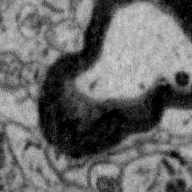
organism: Zebra finch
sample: Brain